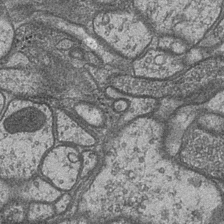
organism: Drosophila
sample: Optic medulla